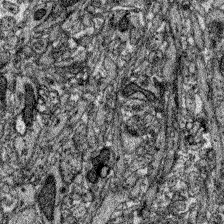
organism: Zebrafish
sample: Larval olfactory bulb